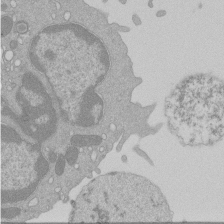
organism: Mouse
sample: Activated Pmel transgenic CD8+ T Cells